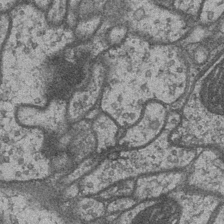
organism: Drosophila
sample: Optic medulla